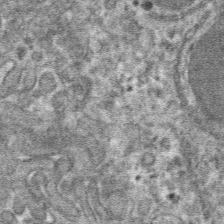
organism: Mouse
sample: Mouse hepatocytes